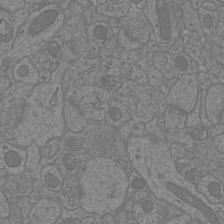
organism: Mouse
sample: Cortical neurons